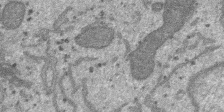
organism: Human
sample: Lung epithelial cells infected with SARS-CoV-2